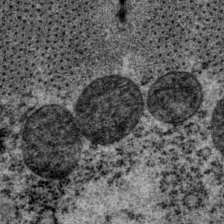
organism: P. pacificus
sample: Pharynx